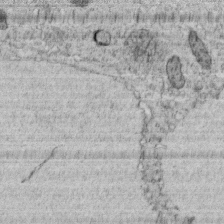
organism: C. elegans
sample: C. elegans embryo early stage